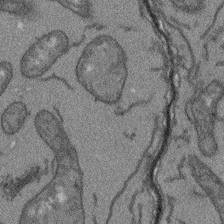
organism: Arabidopsis thaliana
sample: Root tip